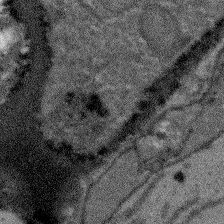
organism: Arabidopsis thaliana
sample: Root tip